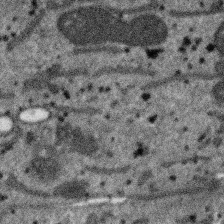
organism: Human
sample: Lung epithelial cells infected with SARS-CoV-2